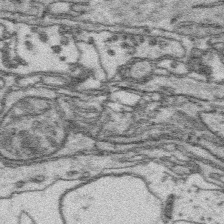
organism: Platynereis dumerilii